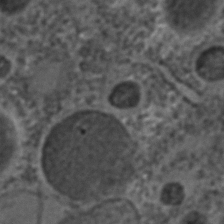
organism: C. elegans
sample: C. elegans embryo